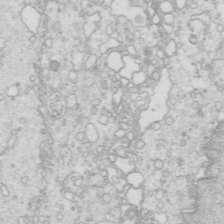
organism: Mouse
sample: Multiciliated cells